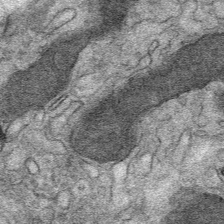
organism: Mouse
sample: Mouse Salivary gland